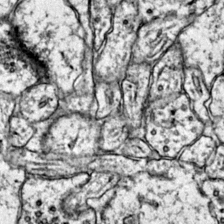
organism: Mouse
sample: Primary visual cortex